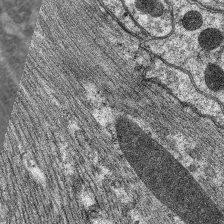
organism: C. elegans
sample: Pharynx